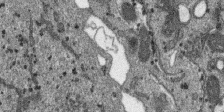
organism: Human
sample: Lung epithelial cells infected with SARS-CoV-2